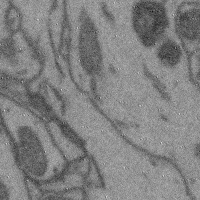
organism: Mouse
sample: Cerebral cortex